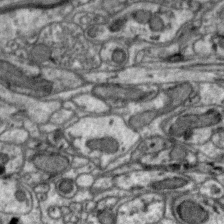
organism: Zebra finch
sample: Brain